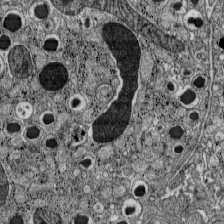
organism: C57BL Mouse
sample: Pancreatic islet